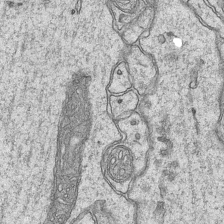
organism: Mouse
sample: CA1 Hippocampus